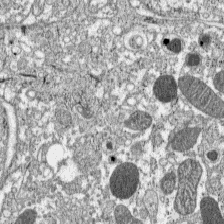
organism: C57BL Mouse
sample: Pancreatic islet